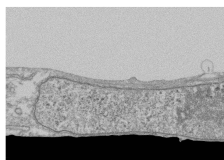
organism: Human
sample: Fibroblast cells